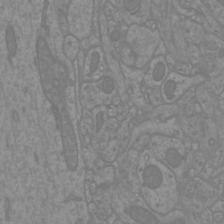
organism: Mouse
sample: Cortical neurons